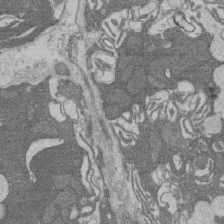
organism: Rat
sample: Salivary granule